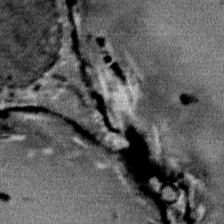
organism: Mouse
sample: Mouse Salivary gland